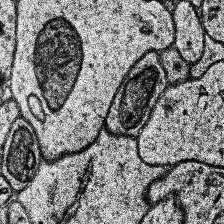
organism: Human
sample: Temporal Lobe